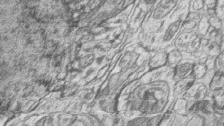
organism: Zebrafish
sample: synaptic ribbons in rod cells and cone cells